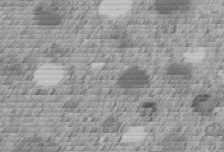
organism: C. elegans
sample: C. elegans embryo early stage